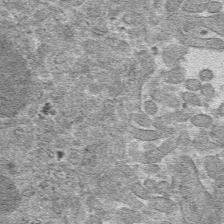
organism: Mouse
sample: Mouse hepatocytes